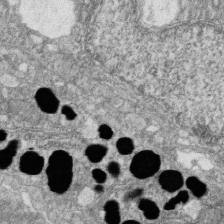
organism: Zebrafish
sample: Cilia; retinal pigment epithelium